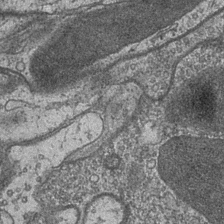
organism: Drosophila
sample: Optic medulla